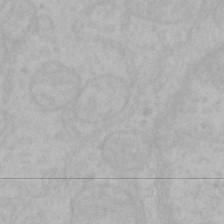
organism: Mouse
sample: Choroid plexus